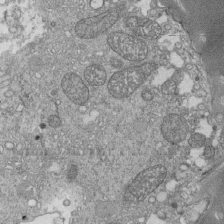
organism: Tetrahymena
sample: Cilia in tetrahymena